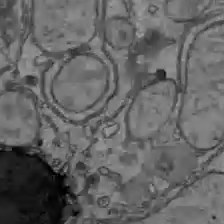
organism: C57BL Mouse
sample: Liver